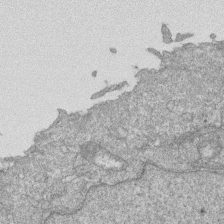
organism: Human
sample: HeLa cell HIV synapse